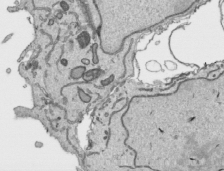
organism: Human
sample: Mitochondria in HCT116 cells